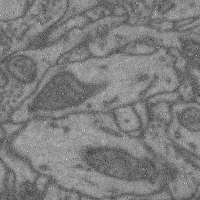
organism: Mouse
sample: Cerebral cortex